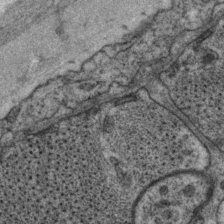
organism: P. pacificus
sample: Pharynx